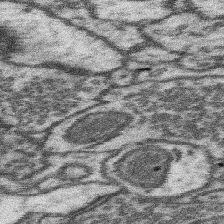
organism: Mouse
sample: Somatosensory cortex neuropil